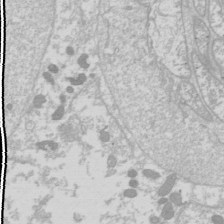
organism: Drosophila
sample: Cell division; meiosis; drosophila spermatocytes